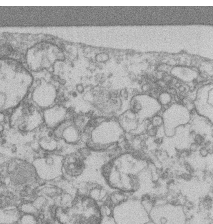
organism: Mouse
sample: T cell stromal cell synapse